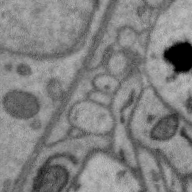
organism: Zebra finch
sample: Brain